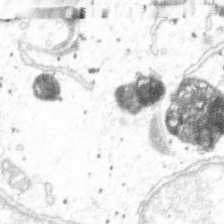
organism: Human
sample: HeLa cells